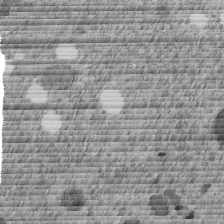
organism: C. elegans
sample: C. elegans embryo early stage